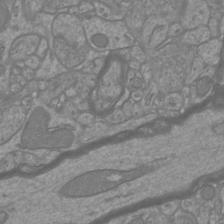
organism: Mouse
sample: Cortical neurons